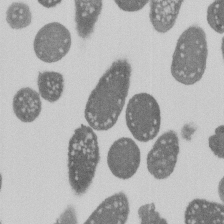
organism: E. coli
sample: Bacterial nucleoid